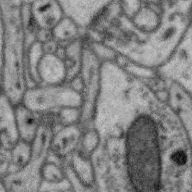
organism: Zebra finch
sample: Brain